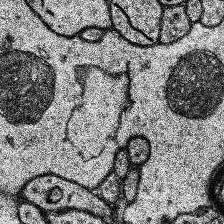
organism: Human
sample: Temporal Lobe